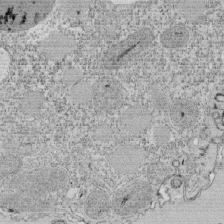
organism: Tetrahymena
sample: Cilia in tetrahymena